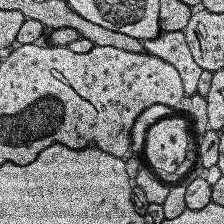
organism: Human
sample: Temporal Lobe